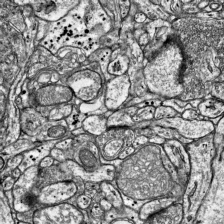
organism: Mouse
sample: Visual Cortex